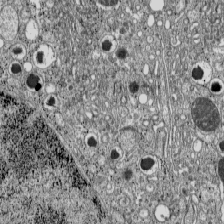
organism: C57BL Mouse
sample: Pancreatic islet